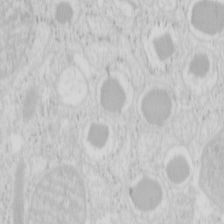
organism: Mouse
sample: Pancreas